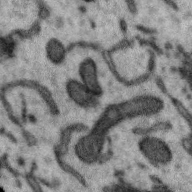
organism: Zebra finch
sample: Brain